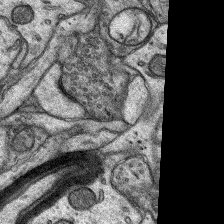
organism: Rat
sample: Hippocampus